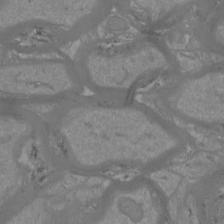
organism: Mouse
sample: Cortical neurons